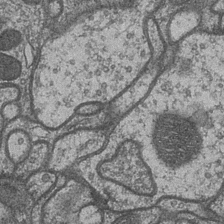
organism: Drosophila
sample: Optic medulla